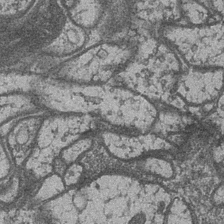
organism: Drosophila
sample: Optic medulla